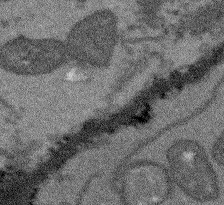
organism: Arabidopsis thaliana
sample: Root tip